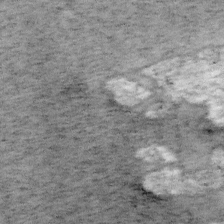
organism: Mouse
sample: OT-I killer T cells with ID8 ovarian cancer cells